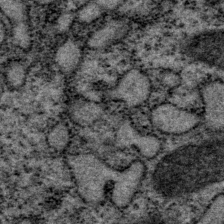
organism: P. pacificus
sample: Pharynx